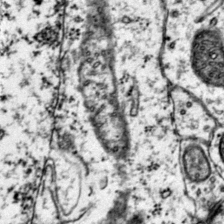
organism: Mouse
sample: Primary visual cortex